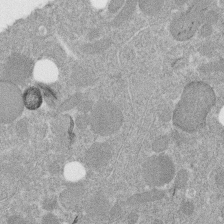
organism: C. elegans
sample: C. elegans embryo early stage